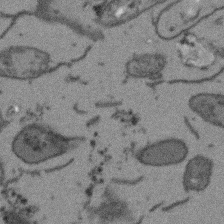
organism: Arabidopsis thaliana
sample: Root tip